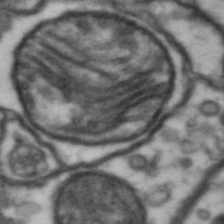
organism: Drosophila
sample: Brain